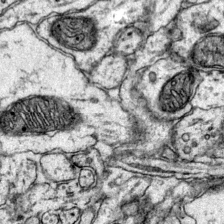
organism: Mouse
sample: Primary visual cortex